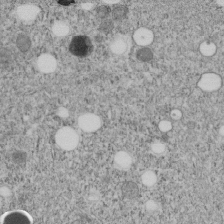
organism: C. elegans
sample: C. elegans embryo early stage